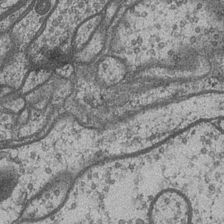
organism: Drosophila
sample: Optic medulla